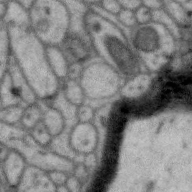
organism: Zebra finch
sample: Brain